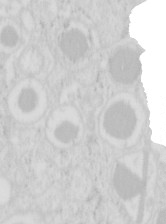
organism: Mouse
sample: Pancreas